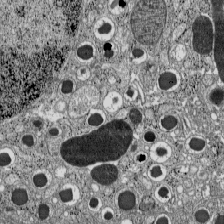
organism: C57BL Mouse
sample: Pancreatic islet